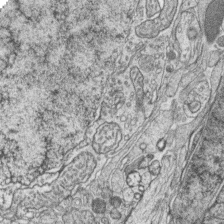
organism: Zebrafish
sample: synaptic ribbons in rod cells and cone cells